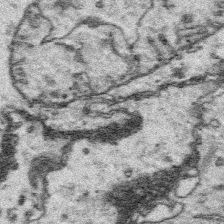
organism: Platynereis dumerilii